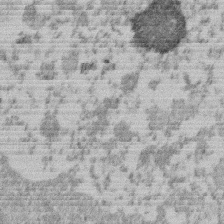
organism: Mouse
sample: Dividing mouse embryo 1 cell stage